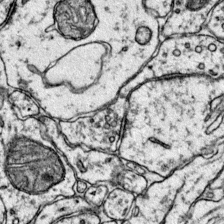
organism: Mouse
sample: Primary visual cortex